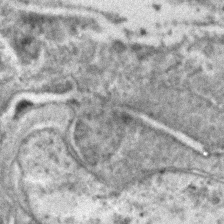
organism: C. elegans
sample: C. elegans embryo